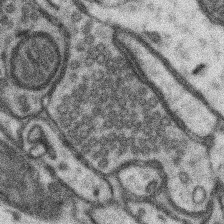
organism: Mouse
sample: Somatosensory cortex neuropil